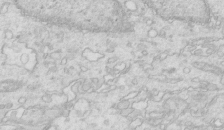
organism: Mouse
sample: Multiciliated cells